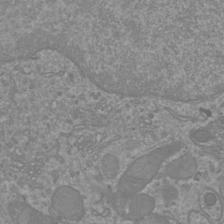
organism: Mouse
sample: Cortical neurons